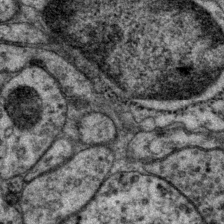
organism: P. pacificus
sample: Pharynx